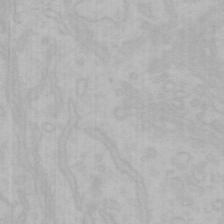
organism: Mouse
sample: Choroid plexus